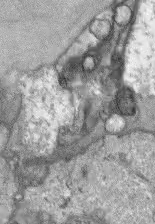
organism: Mouse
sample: Corneal nerves